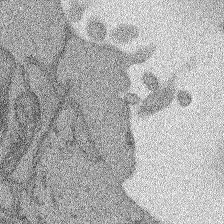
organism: Human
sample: HeLa cells